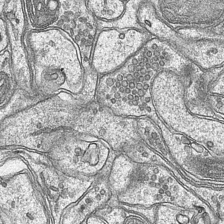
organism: Mouse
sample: CA1 Hippocampus